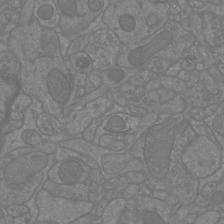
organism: Mouse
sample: Cortical neurons